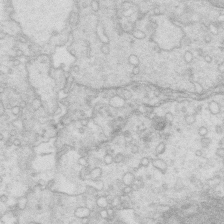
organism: Mouse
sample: Multiciliated cells